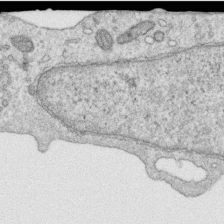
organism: Human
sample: Centriole in RPE cells